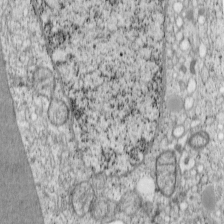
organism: African green monkey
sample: COS-7 cells